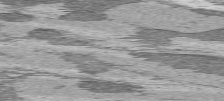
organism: C57BL Mouse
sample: Heart